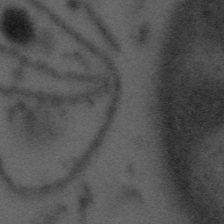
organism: Tuwongella immobilis